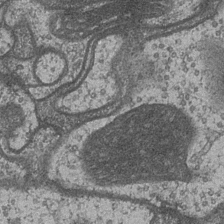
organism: Drosophila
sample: Optic medulla